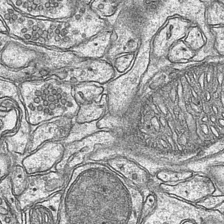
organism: Mouse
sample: CA1 Hippocampus